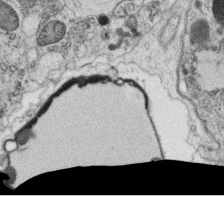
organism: C. elegans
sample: C. elegans oocyte; sperm cells